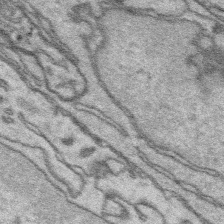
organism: Platynereis dumerilii